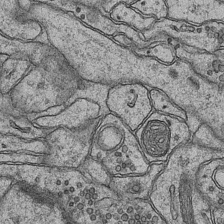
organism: Mouse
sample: CA1 Hippocampus